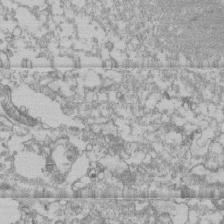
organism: Human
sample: CRL-1474